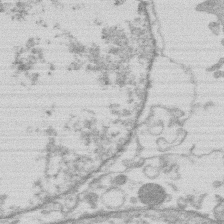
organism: Human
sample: Macrophage cells